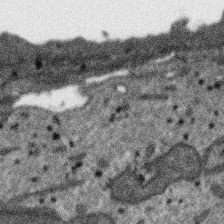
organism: Human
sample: Lung epithelial cells infected with SARS-CoV-2